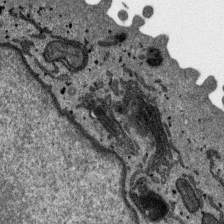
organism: Human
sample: Lung epithelial cells, uninfected (mock) control